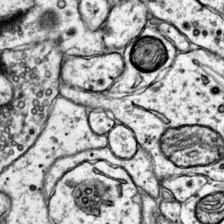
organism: Mouse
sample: Primary visual cortex